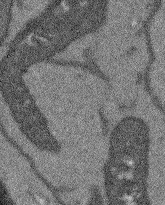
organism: Arabidopsis thaliana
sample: Root tip